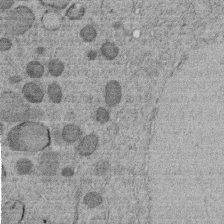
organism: C. elegans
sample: C. elegans embryo early stage